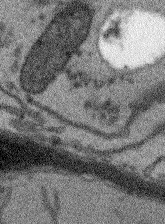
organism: Arabidopsis thaliana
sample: Root tip